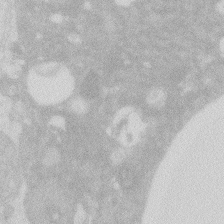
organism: Zebrafish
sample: Macrophage